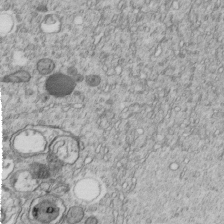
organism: C. elegans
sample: C. elegans embryo early stage